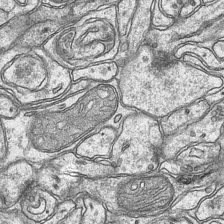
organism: Mouse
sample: CA1 Hippocampus